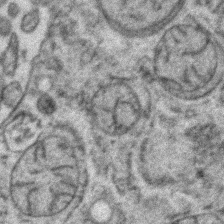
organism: Zebrafish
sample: Zebrafish embryo